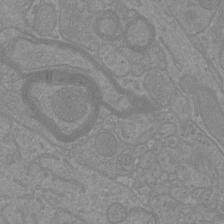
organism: Mouse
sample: Cortical neurons